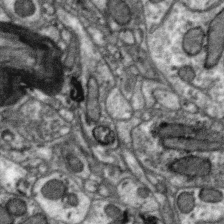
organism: Zebra finch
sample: Brain